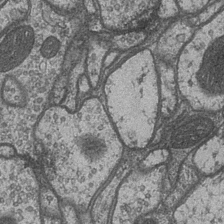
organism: Drosophila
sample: Optic medulla